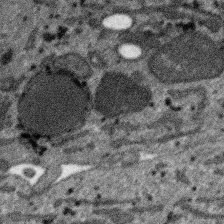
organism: Human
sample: Lung epithelial cells infected with SARS-CoV-2